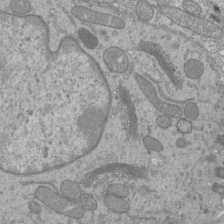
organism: Mouse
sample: Cilia; mouse epididymis